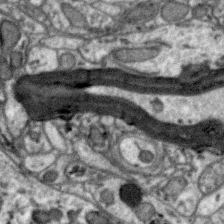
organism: Zebra finch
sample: Brain